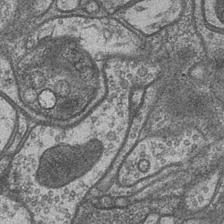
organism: Drosophila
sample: Optic medulla